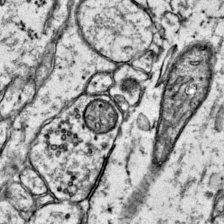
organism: Mouse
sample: Primary visual cortex